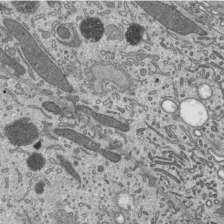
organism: Mouse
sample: Mouse epididymis efferent ductule cilia